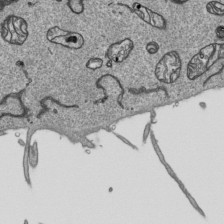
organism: Human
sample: Mitochondria in HCT116 cells